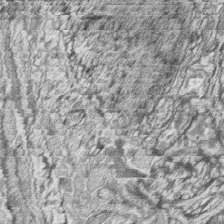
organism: Zebrafish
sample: synaptic ribbons in rod cells and cone cells